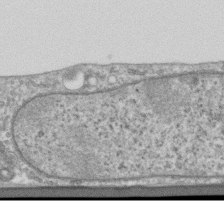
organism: Human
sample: Centriole in RPE cells